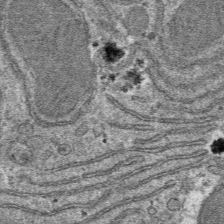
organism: Mouse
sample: Mouse hepatocytes